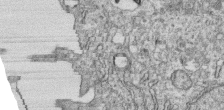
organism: Human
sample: HeLa cell HIV synapse